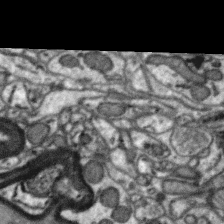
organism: Zebra finch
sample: Brain